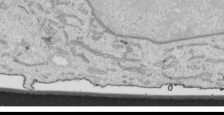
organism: Human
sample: Mitochondria in HCT116 cells